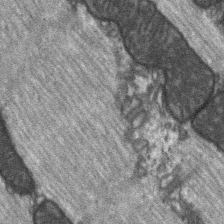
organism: C57BL Mouse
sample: Soleus